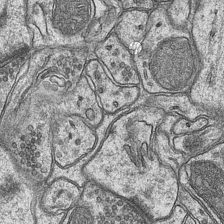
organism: Mouse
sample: CA1 Hippocampus